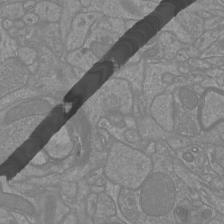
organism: Mouse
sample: Cortical neurons